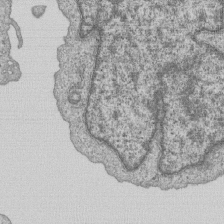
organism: Human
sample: MDA-MB-231 cells